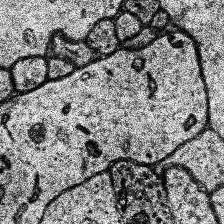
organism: Human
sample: Temporal Lobe